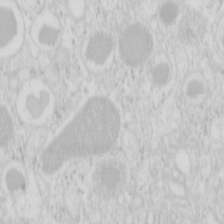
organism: Mouse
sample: Pancreas